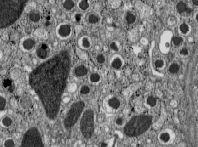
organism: C57BL Mouse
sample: Pancreatic islet